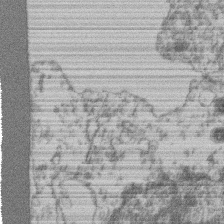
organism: Mouse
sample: T cell stromal cell synapse